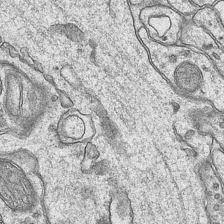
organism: Mouse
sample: CA1 Hippocampus